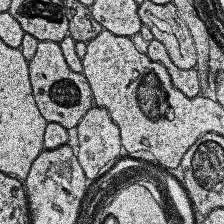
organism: Human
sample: Temporal Lobe